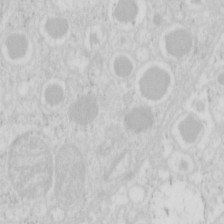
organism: Mouse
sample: Pancreas